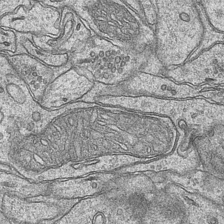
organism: Mouse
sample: CA1 Hippocampus